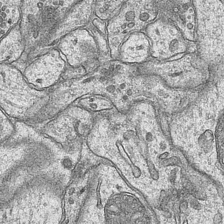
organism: Mouse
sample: CA1 Hippocampus